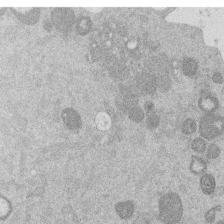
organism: Mouse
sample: Dividing mouse embryo 1 cell stage